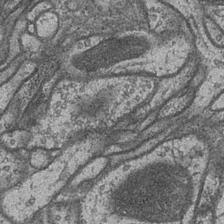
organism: Drosophila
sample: Optic medulla